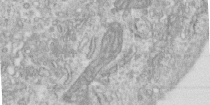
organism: Human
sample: Centriole in RPE cells